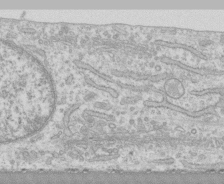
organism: Human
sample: CRL-1474